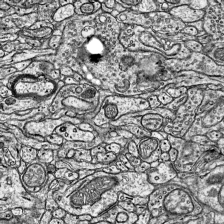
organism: Mouse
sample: Visual Cortex